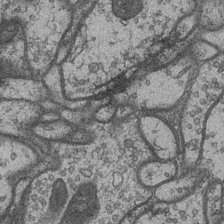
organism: Drosophila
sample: Optic medulla